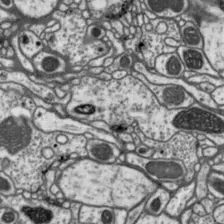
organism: Drosophila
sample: Protocerebral bridge